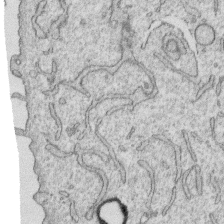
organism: Human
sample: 1205lu cells